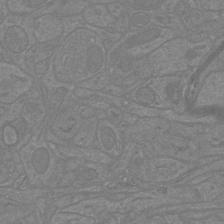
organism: Mouse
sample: Cortical neurons